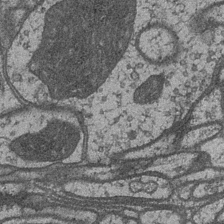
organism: Drosophila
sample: Optic medulla